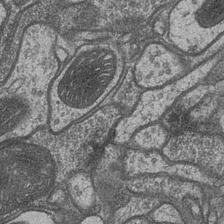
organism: Drosophila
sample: Optic medulla